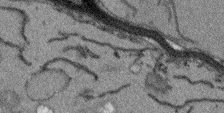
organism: Arabidopsis thaliana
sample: Root tip